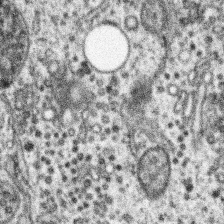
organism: Human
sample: HeLa cells